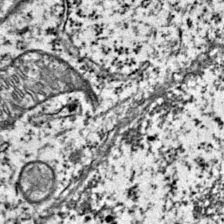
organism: Mouse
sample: Primary visual cortex